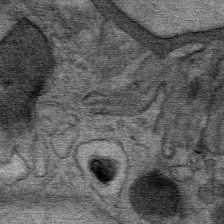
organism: Mouse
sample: Mouse Salivary gland